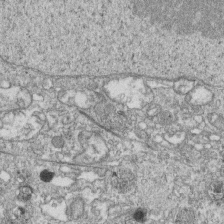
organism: Human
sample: HeLa cell HIV synapse